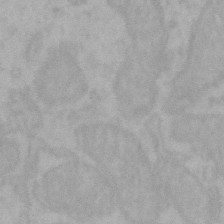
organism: Mouse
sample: Choroid plexus